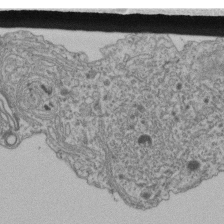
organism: Human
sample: Retinal organoid Rod and Cone cells